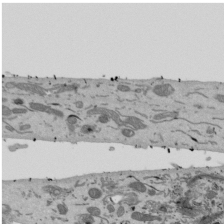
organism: Mouse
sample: ED-1 cell nuclei; centrioles